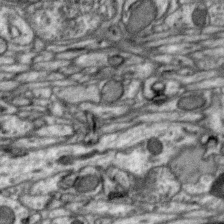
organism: Zebra finch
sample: Brain